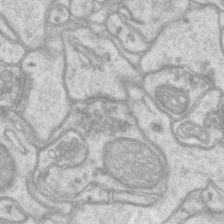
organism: Mouse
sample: CA1 Hippocampus